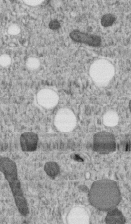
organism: C. elegans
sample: C. elegans embryo early stage